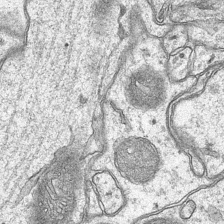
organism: Mouse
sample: CA1 Hippocampus